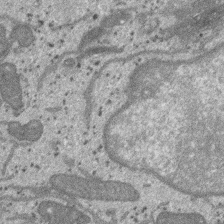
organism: Human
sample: Lung epithelial cells infected with SARS-CoV-2